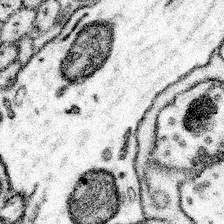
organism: Mouse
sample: Somatosensory cortex neuropil